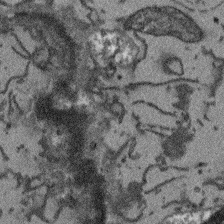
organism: Arabidopsis thaliana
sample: Root tip